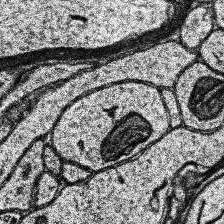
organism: Human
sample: Temporal Lobe